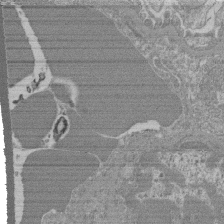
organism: Mouse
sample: Glomerulus